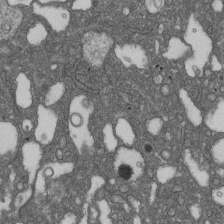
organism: Drosophila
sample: Nephrocyte